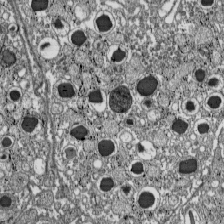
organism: C57BL Mouse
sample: Pancreatic islet